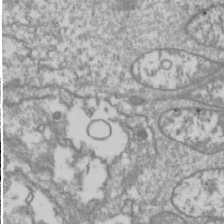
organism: Drosophila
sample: Cell division; meiosis; drosophila spermatocytes